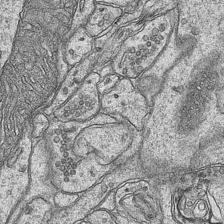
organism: Mouse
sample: CA1 Hippocampus